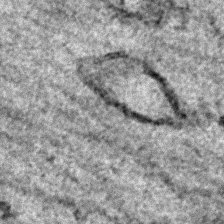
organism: C. elegans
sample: C. elegans embryo